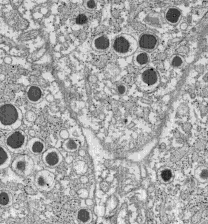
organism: C57BL Mouse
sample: Pancreatic islet